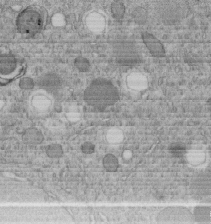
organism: C. elegans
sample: C. elegans embryo early stage